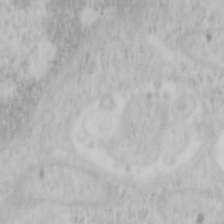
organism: Mouse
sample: OT-I killer T cells with ID8 ovarian cancer cells